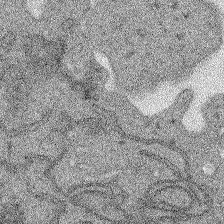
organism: Human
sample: HeLa cells